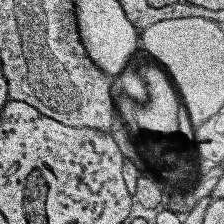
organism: Human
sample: Temporal Lobe